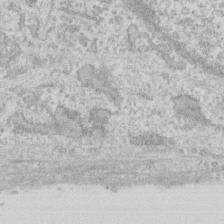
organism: Human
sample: Fibroblast cells